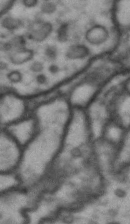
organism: Drosophila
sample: Brain